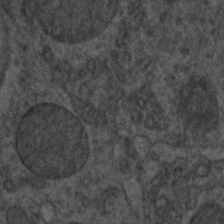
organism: C. elegans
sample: C. elegans embryo